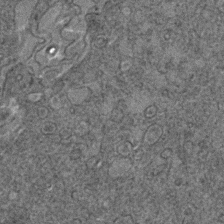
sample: Trachea